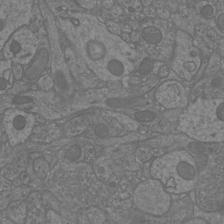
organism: Mouse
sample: Cortical neurons